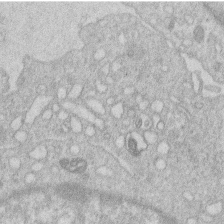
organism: Human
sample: Macrophage cells